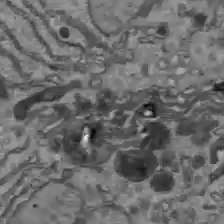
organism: C57BL Mouse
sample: Liver